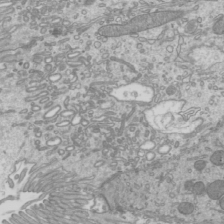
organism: Mouse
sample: Cilia; mouse epididymis